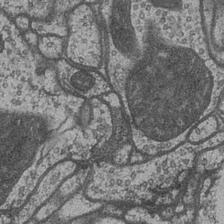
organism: Drosophila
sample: Optic medulla